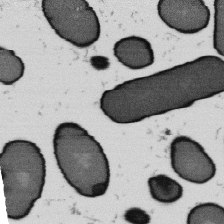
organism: B. subtilis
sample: Bacterial spore